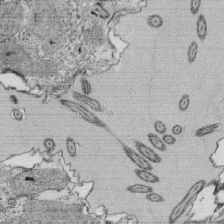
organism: Tetrahymena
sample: Cilia in tetrahymena